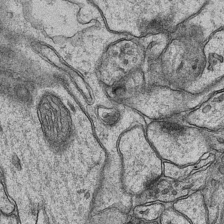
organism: Mouse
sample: CA1 Hippocampus